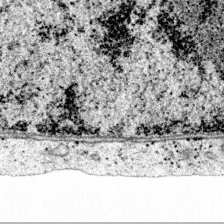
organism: Human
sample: HeLa cells